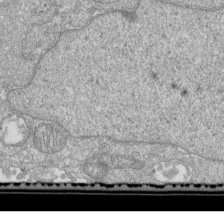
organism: Human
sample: HeLa cell HIV synapse